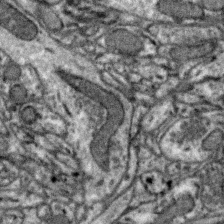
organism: Zebra finch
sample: Brain